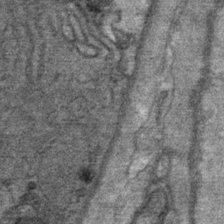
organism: Mouse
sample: Mouse Salivary gland